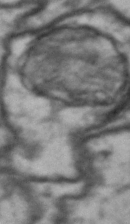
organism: Drosophila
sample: Brain